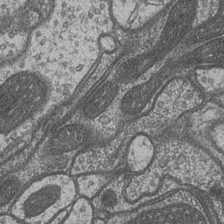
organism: Drosophila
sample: Optic medulla